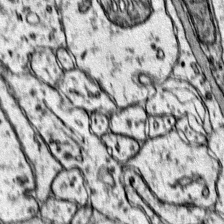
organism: Mouse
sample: Primary visual cortex